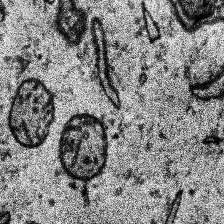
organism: Human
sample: Temporal Lobe